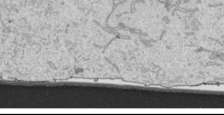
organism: Human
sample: Mitochondria in HCT116 cells